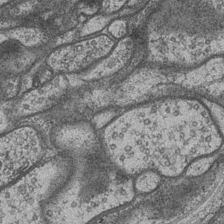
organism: Drosophila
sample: Optic medulla